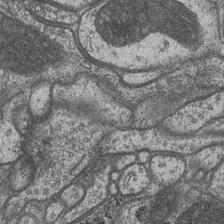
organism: Drosophila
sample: Optic medulla